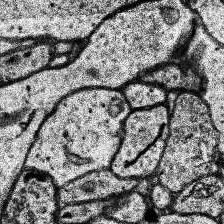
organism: Human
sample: Temporal Lobe